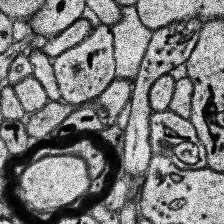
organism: Human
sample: Temporal Lobe